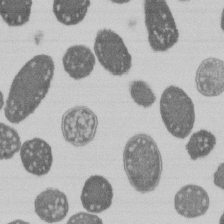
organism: E. coli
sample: Bacterial nucleoid